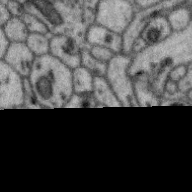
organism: Zebra finch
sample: Brain